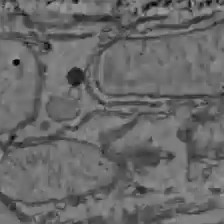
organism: C57BL Mouse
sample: Liver